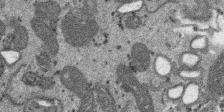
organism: Human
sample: Lung epithelial cells infected with SARS-CoV-2